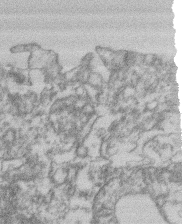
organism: Mouse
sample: T cell stromal cell synapse